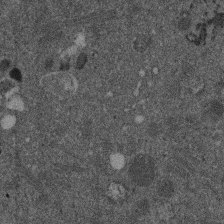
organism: Mouse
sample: Dividing mouse embryo 1 cell stage